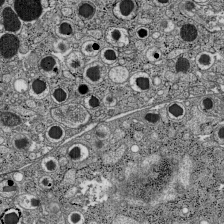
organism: C57BL Mouse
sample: Pancreatic islet